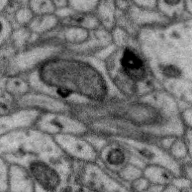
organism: Zebra finch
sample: Brain